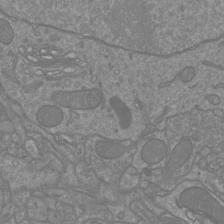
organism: Mouse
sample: Cortical neurons